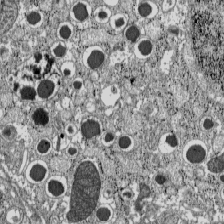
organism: C57BL Mouse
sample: Pancreatic islet